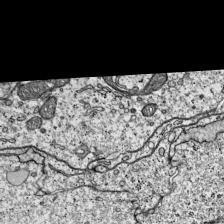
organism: Mouse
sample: Visual Cortex